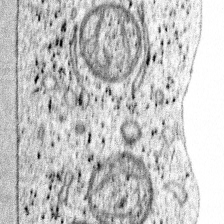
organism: Human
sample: HeLa cells